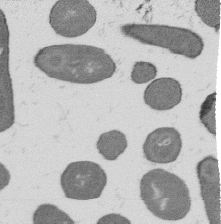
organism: B. subtilis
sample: Bacterial spore